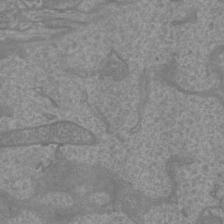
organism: Mouse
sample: Cortical neurons